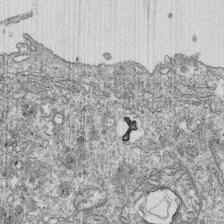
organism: Human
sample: HeLa cell HIV synapse